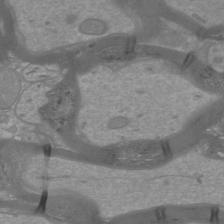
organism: Mouse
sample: Cortical neurons